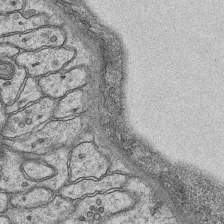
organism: Mouse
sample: CA1 Hippocampus